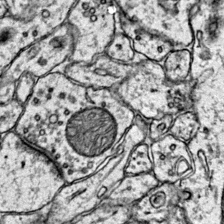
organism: Mouse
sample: Primary visual cortex